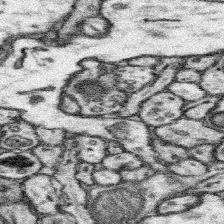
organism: Mouse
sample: Somatosensory cortex neuropil